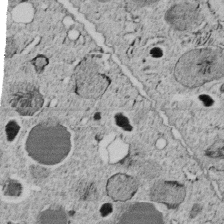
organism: C. elegans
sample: C. elegans embryo early stage